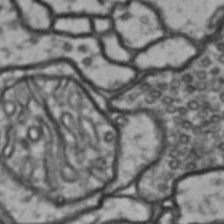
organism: Drosophila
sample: Brain